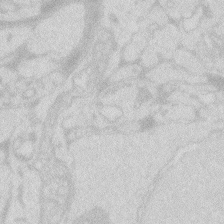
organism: Zebrafish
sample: Macrophage